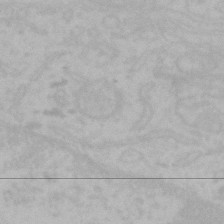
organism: Mouse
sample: Choroid plexus